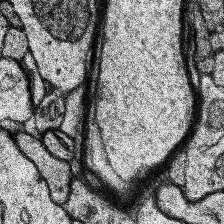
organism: Human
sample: Temporal Lobe